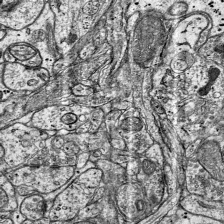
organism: Mouse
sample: Visual Cortex